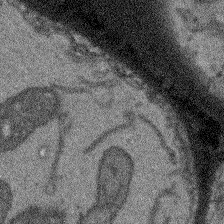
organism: Arabidopsis thaliana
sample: Root tip